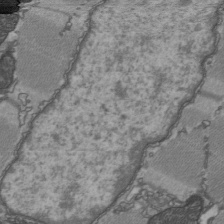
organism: C57BL Mouse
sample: Heart